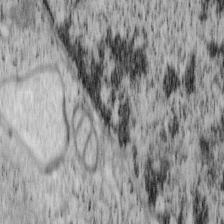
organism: Human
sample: HeLa cells